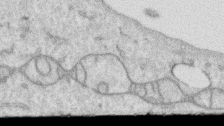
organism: Human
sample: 1205lu cells